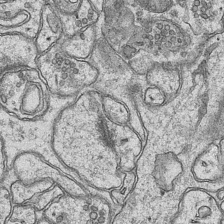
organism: Mouse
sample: CA1 Hippocampus